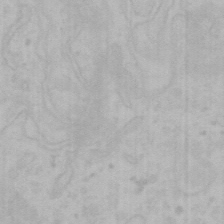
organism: Mouse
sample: Choroid plexus